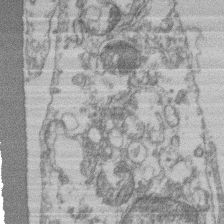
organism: Mouse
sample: T cell stromal cell synapse